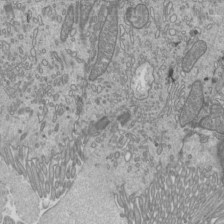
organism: Mouse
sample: Cilia; mouse epididymis